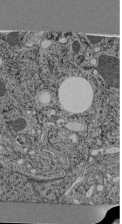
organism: C. elegans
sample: C. elegans pharynx